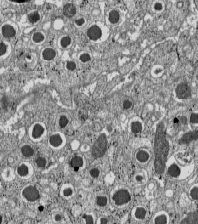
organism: C57BL Mouse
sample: Pancreatic islet